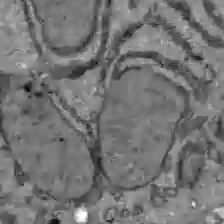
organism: C57BL Mouse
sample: Liver